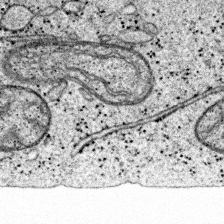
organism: Human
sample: HeLa cells